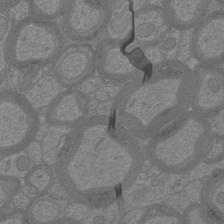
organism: Mouse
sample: Cortical neurons